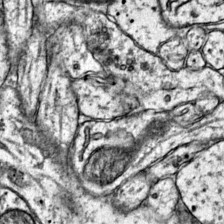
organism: Mouse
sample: Primary visual cortex